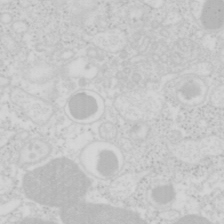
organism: Mouse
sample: Pancreas